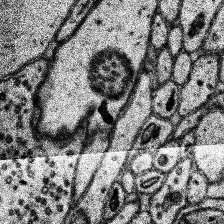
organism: Human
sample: Temporal Lobe